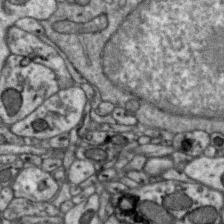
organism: Zebra finch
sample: Brain